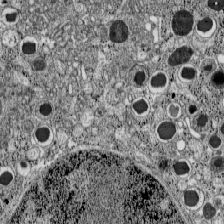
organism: C57BL Mouse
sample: Pancreatic islet